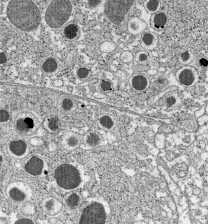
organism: C57BL Mouse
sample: Pancreatic islet